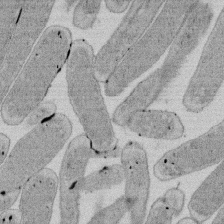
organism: E. coli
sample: Bacterial nucleoid